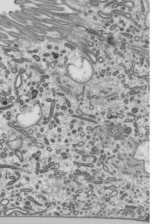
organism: Mouse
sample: Mouse epididymis efferent ductule cilia